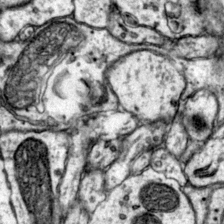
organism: Mouse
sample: Primary visual cortex